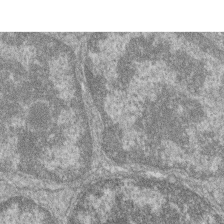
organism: Zebrafish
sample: Cilia; retinal pigment epithelium